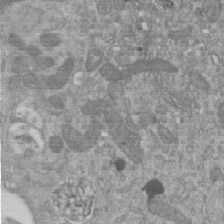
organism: Mouse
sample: ED-1 cell nuclei; centrioles